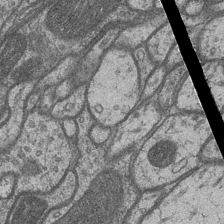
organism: Drosophila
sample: Optic medulla